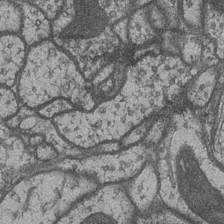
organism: Drosophila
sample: Optic medulla